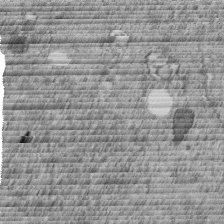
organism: C. elegans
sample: C. elegans embryo early stage